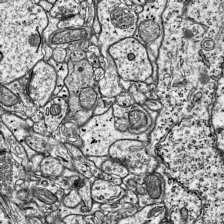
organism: Mouse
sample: Visual Cortex